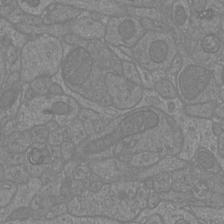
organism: Mouse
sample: Cortical neurons